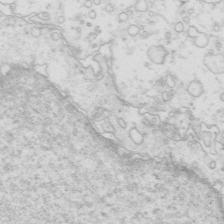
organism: Mouse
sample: Multiciliated cells